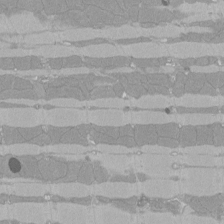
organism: Rat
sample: Left ventricle